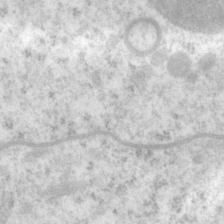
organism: P. pacificus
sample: Pharynx